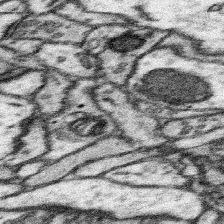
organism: Mouse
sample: Somatosensory cortex neuropil